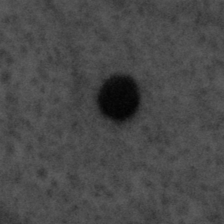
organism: Tuwongella immobilis